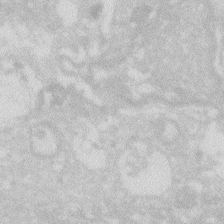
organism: Zebrafish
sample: Macrophage